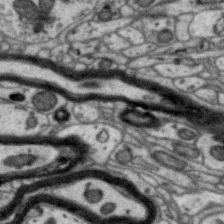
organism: Zebra finch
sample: Brain